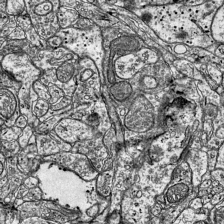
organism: Mouse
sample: Visual Cortex